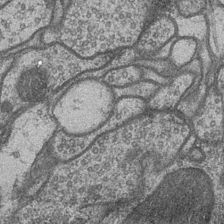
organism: Drosophila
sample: Optic medulla